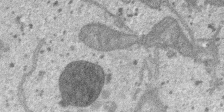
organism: Human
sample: Lung epithelial cells infected with SARS-CoV-2